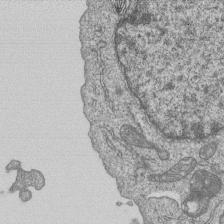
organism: Human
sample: MDA-MB-231 cells